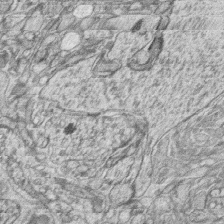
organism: Zebrafish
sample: synaptic ribbons in rod cells and cone cells